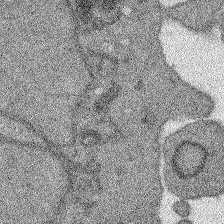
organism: Human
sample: HeLa cells